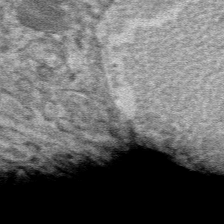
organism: Mouse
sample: Mouse hepatocytes